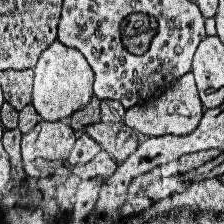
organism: Human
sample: Temporal Lobe